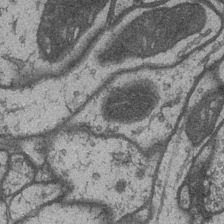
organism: Drosophila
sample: Optic medulla